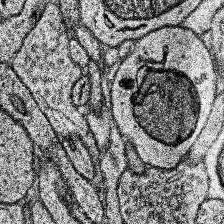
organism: Human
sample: Temporal Lobe